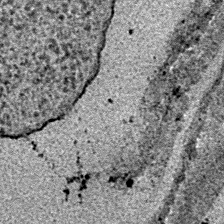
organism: E. coli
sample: E. Coli Bacteria